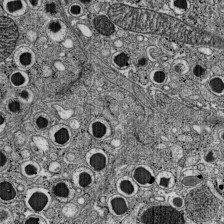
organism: C57BL Mouse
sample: Pancreatic islet